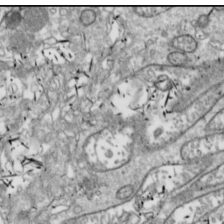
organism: Drosophila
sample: Cell division; meiosis; drosophila spermatocytes